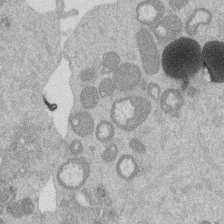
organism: Mouse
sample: Dividing mouse embryo 1 cell stage